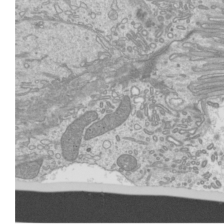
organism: Mouse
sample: Cilia; mouse epididymis